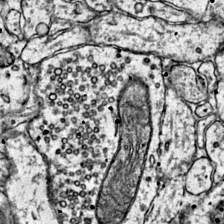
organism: Mouse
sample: Primary visual cortex